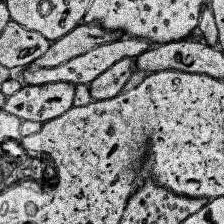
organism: Human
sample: Temporal Lobe